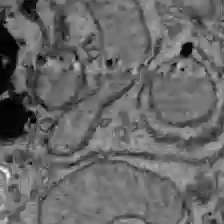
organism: C57BL Mouse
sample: Liver